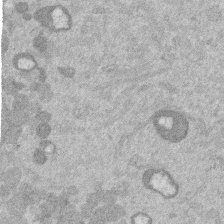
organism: Mouse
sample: Dividing mouse embryo 1 cell stage